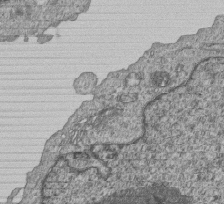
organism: Human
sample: MDA-MB-231 cells